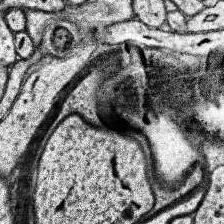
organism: Human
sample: Temporal Lobe